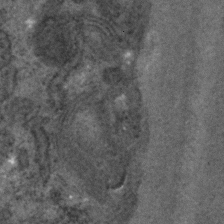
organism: C. elegans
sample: C. elegans embryo